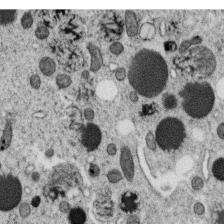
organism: C. elegans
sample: C. elegans oocyte; sperm cells